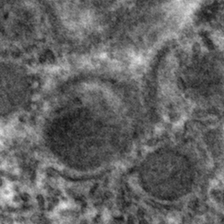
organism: Mouse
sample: Mouse hepatocytes